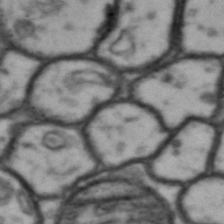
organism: Drosophila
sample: Brain